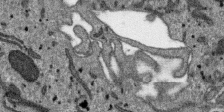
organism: Human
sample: Lung epithelial cells, uninfected (mock) control